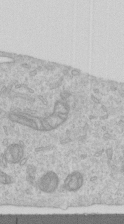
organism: Human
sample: Centriole in RPE cells